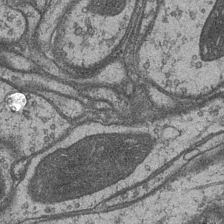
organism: Drosophila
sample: Optic medulla